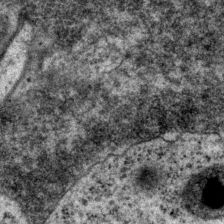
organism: P. pacificus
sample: Pharynx